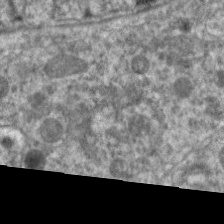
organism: C. elegans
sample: Pharynx